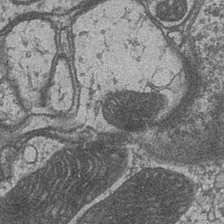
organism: Drosophila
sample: Optic medulla